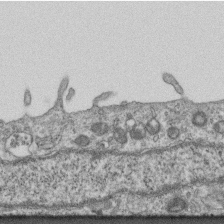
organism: Mouse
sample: Centriole in ependymal cells